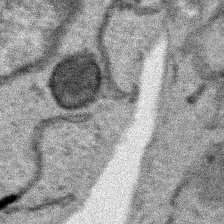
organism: Human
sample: Mitochondria in HCT116 cells